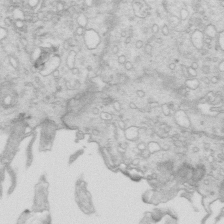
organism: Mouse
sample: Multiciliated cells